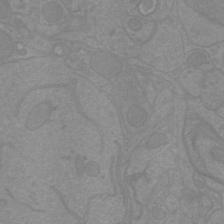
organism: Mouse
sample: Cortical neurons